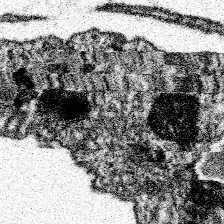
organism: Spongilla lacustris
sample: Neuroid cell